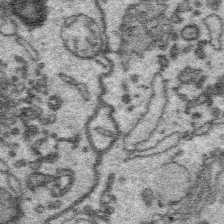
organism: Platynereis dumerilii